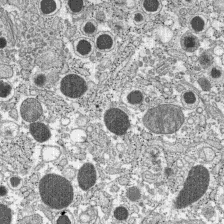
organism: C57BL Mouse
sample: Pancreatic islet